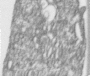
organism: Human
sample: Centriole in RPE cells